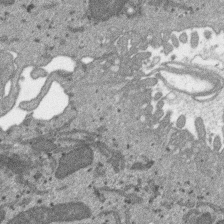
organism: Human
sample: Lung epithelial cells infected with SARS-CoV-2